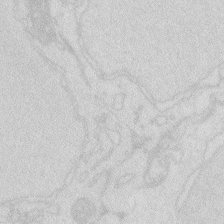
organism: Zebrafish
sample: Macrophage